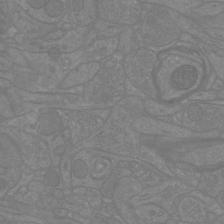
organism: Mouse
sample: Cortical neurons